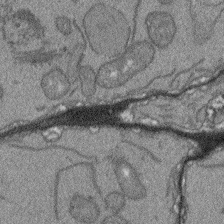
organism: Arabidopsis thaliana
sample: Root tip